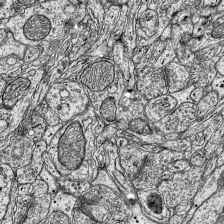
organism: Mouse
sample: Visual Cortex